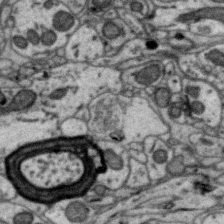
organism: Zebra finch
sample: Brain